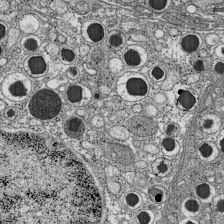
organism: C57BL Mouse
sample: Pancreatic islet